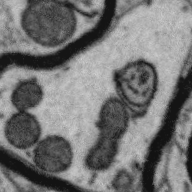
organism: Zebra finch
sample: Brain